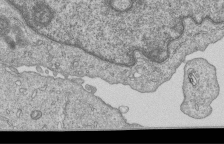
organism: Human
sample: MDA-MB-231 cells